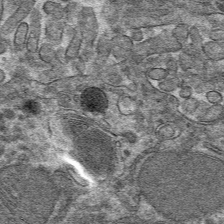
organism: Mouse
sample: Mouse hepatocytes